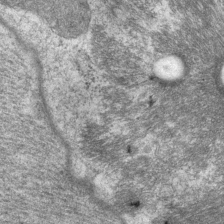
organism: P. pacificus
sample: Pharynx